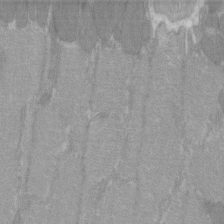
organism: C57BL Mouse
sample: Tibialis anterior muscle cell